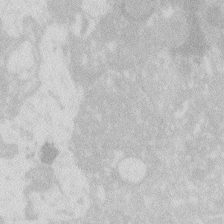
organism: Zebrafish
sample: Macrophage